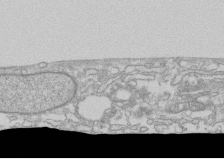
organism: Human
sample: CRL-1474